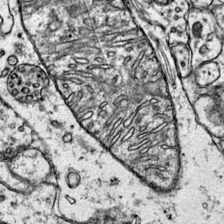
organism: Mouse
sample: Primary visual cortex